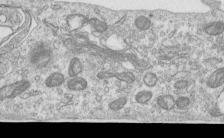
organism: Human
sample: Centriole in RPE cells